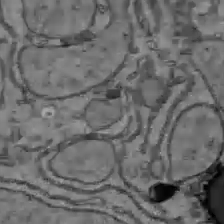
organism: C57BL Mouse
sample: Liver